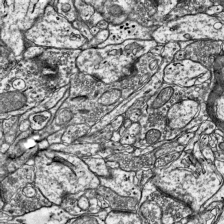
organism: Mouse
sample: Visual Cortex